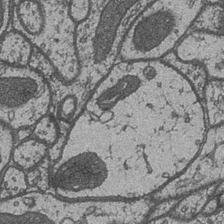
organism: Drosophila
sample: Optic medulla